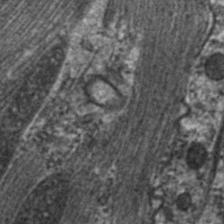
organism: C. elegans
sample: Pharynx